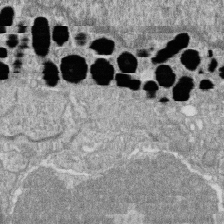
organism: Zebrafish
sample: Cilia; retinal pigment epithelium